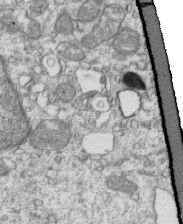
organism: Mouse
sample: Activated OT-1 CD8+ T cells